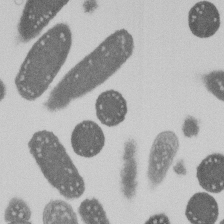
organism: E. coli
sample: Bacterial nucleoid